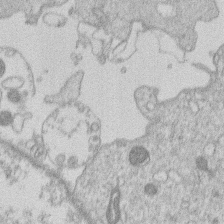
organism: Human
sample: Macrophage cells